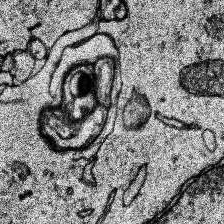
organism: Human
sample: Temporal Lobe